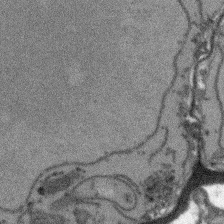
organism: Arabidopsis thaliana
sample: Root tip